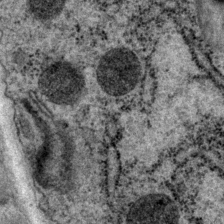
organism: P. pacificus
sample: Pharynx